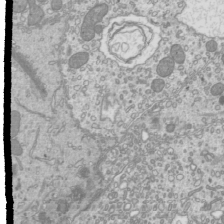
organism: Mouse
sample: Cilia; mouse epididymis